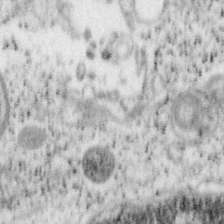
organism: Mouse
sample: OT-I killer T cells with ID8 ovarian cancer cells